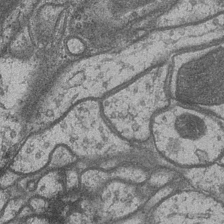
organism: Drosophila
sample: Optic medulla